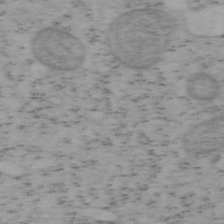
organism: Mouse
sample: OT-I killer T cells with ID8 ovarian cancer cells